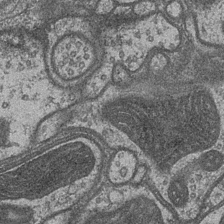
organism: Drosophila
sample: Optic medulla